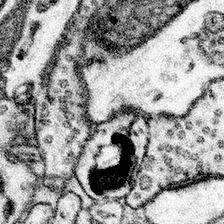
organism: Mouse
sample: Somatosensory cortex neuropil